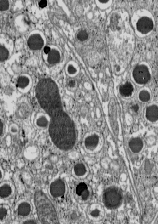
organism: C57BL Mouse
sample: Pancreatic islet